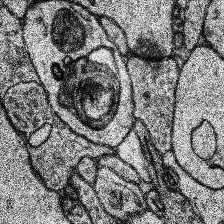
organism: Human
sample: Temporal Lobe